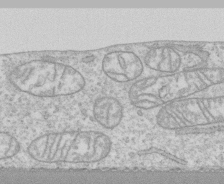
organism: Human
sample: CRL-1474